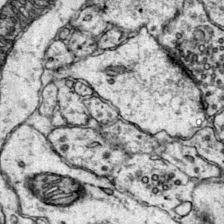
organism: Mouse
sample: Primary visual cortex